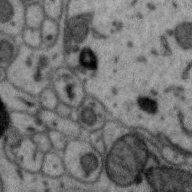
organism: Zebra finch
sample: Brain